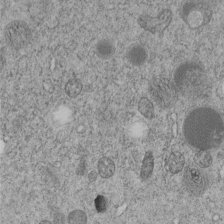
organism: C. elegans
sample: C. elegans embryo early stage